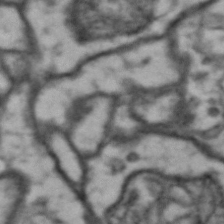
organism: Drosophila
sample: Brain